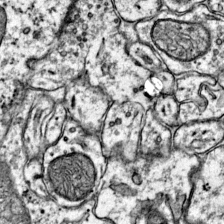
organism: Mouse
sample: Primary visual cortex